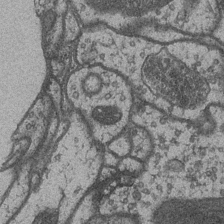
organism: Drosophila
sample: Optic medulla